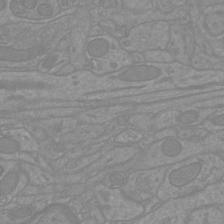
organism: Mouse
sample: Cortical neurons